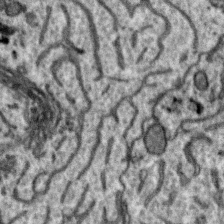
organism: Zebra finch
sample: Brain